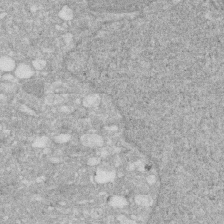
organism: Human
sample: HIV infected U937 cells